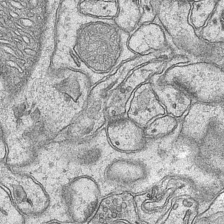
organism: Mouse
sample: CA1 Hippocampus